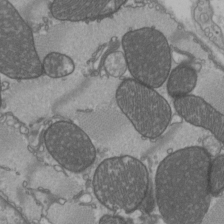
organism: C57BL Mouse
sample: Heart